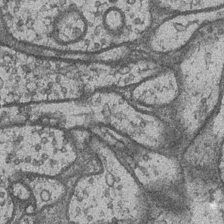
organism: Drosophila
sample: Optic medulla